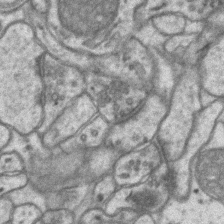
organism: Mouse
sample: CA1 Hippocampus